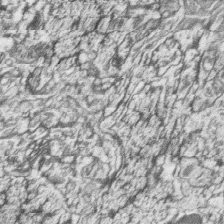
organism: Zebrafish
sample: synaptic ribbons in rod cells and cone cells